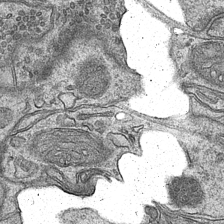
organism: Mouse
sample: CA1 Hippocampus